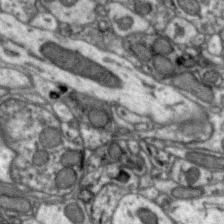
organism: Zebra finch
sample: Brain